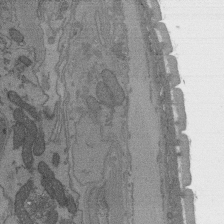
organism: C. elegans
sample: AFD neurons C. elegans